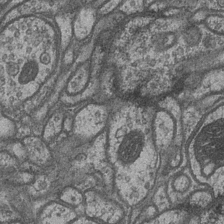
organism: Drosophila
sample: Optic medulla